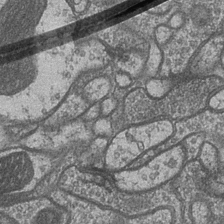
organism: Drosophila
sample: Optic medulla